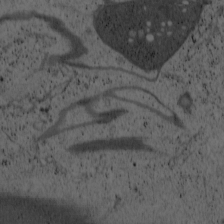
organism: African green monkey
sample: COS-7 cells